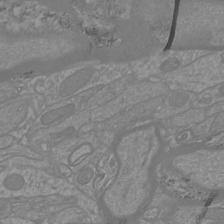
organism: Mouse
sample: Cortical neurons